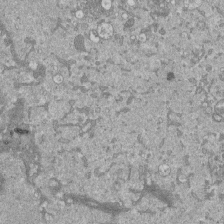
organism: Mouse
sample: ED-1 cell nuclei; centrioles